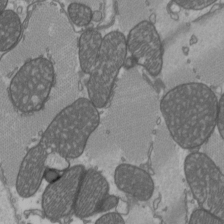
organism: C57BL Mouse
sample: Heart